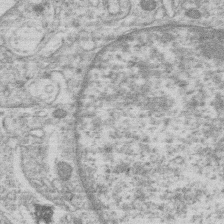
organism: Human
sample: Macrophage cells